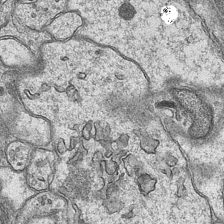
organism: Mouse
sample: CA1 Hippocampus